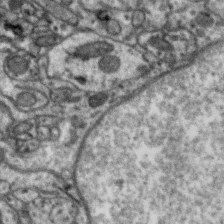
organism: Zebra finch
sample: Brain